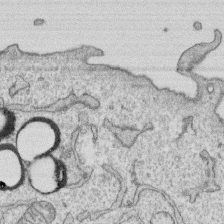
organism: Human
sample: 1205lu cells